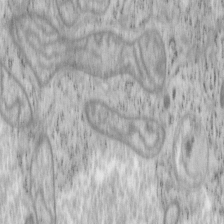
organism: Human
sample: HeLa cells